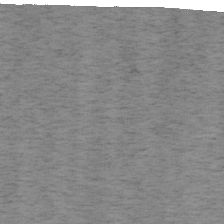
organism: Mouse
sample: OT-I killer T cells with ID8 ovarian cancer cells